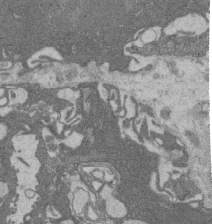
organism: Rat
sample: Salivary granule